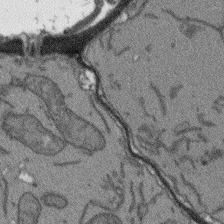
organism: Arabidopsis thaliana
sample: Root tip